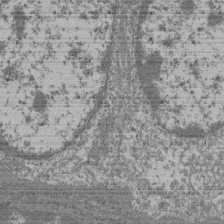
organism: Mouse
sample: Glomerulus